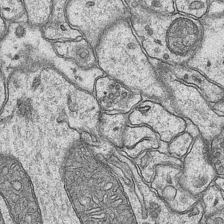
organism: Mouse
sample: CA1 Hippocampus